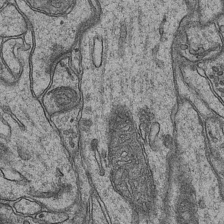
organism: Mouse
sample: CA1 Hippocampus